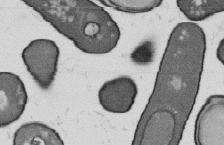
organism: B. subtilis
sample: Bacterial spore